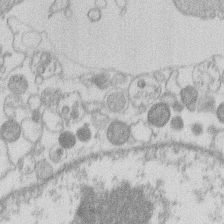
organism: Human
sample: Macrophage cells